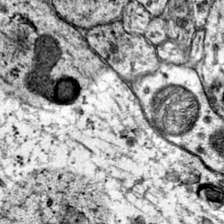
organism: Mouse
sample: Primary visual cortex